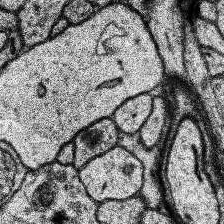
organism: Human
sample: Temporal Lobe